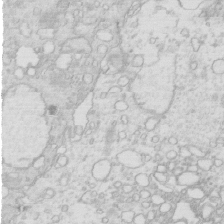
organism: Mouse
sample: Multiciliated cells